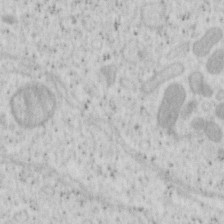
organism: Human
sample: HeLa cells